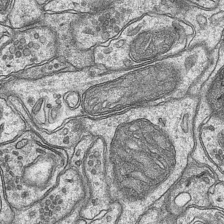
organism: Mouse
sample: CA1 Hippocampus